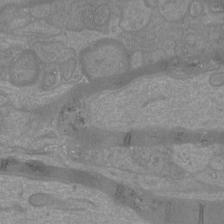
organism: Mouse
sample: Cortical neurons